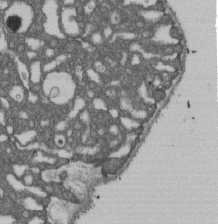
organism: Drosophila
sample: Nephrocyte